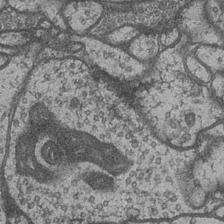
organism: Drosophila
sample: Optic medulla